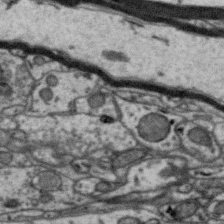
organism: Zebra finch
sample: Brain